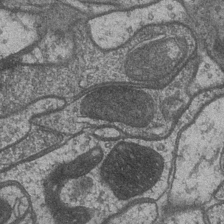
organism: Drosophila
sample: Optic medulla